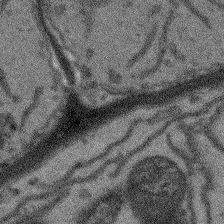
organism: Arabidopsis thaliana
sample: Root tip